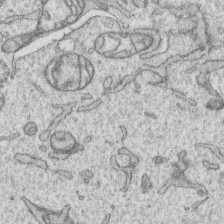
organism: Human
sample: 1205lu cells